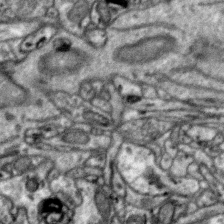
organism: Zebra finch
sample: Brain